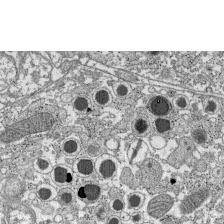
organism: C57BL Mouse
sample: Pancreatic islet